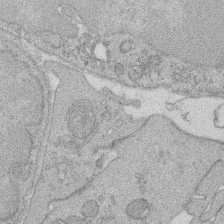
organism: Rat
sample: Salivary granule